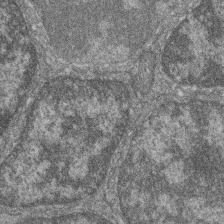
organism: Zebrafish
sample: Cilia; retinal pigment epithelium